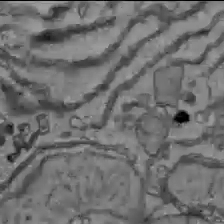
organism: C57BL Mouse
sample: Liver